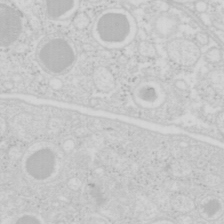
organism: Mouse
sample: Pancreas